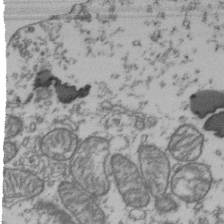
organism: Human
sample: Activated Jurkat CD4+ T cells